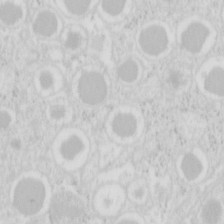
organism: Mouse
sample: Pancreas